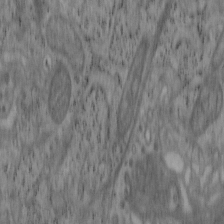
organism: Human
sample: HeLa cells